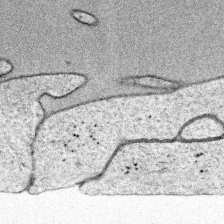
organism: Human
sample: HeLa cells